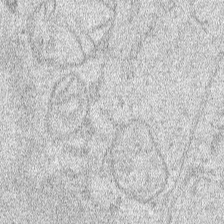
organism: Human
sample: Mitochondria in HCT116 cells